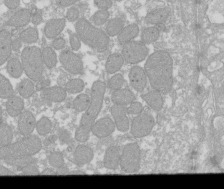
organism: Xenopus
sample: Cilia; centrioles in frog embryo cells